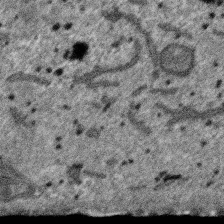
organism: Human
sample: Lung epithelial cells infected with SARS-CoV-2